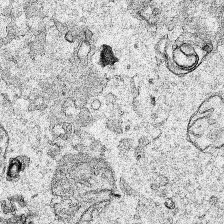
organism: Human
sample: Mitochondria in HCT116 cells